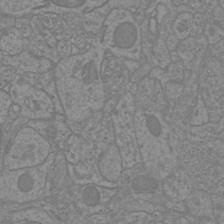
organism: Mouse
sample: Cortical neurons